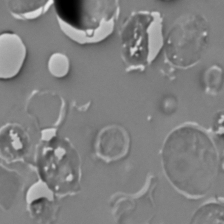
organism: C. elegans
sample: C. elegans embryo